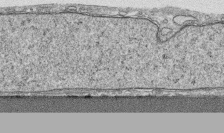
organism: Human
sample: CRL-1474